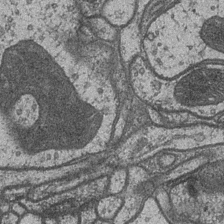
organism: Drosophila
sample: Optic medulla